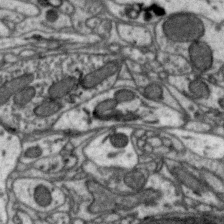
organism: Zebra finch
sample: Brain